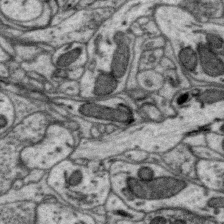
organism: Zebra finch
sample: Brain